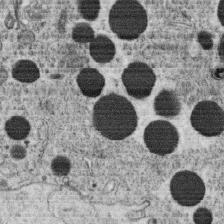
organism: C. elegans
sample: C. elegans oocyte; sperm cells